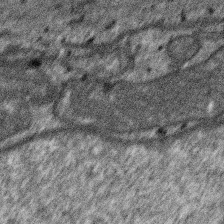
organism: Human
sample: Lung epithelial cells infected with SARS-CoV-2